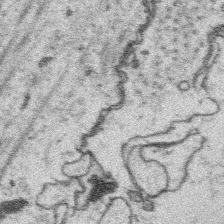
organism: Platynereis dumerilii